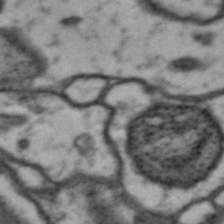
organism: Drosophila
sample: Brain